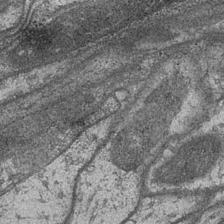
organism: Drosophila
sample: Optic medulla